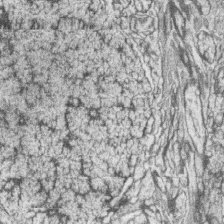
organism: Zebrafish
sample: synaptic ribbons in rod cells and cone cells